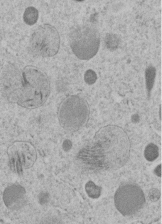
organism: C. elegans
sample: C. elegans embryo early stage